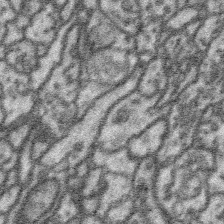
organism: Platynereis dumerilii